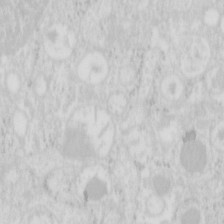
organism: Mouse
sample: Pancreas